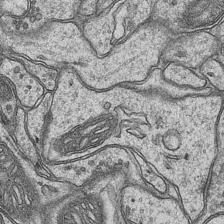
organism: Mouse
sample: CA1 Hippocampus